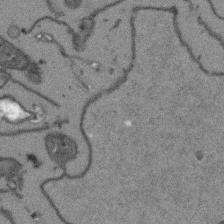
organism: Arabidopsis thaliana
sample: Root tip